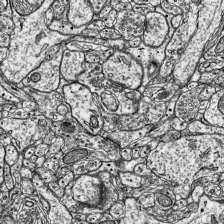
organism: Mouse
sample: Visual Cortex